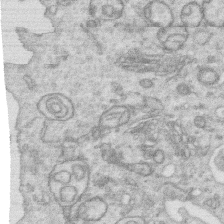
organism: Human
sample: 1205lu cells